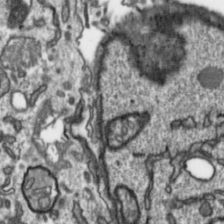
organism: Toxoplasma gondii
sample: Parasites in a vacuole inside a host cell